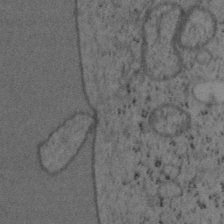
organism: Human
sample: HeLa cells